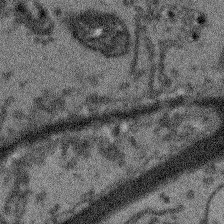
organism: Arabidopsis thaliana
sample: Root tip